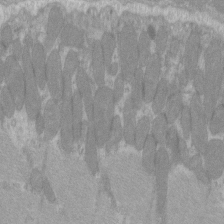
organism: C57BL Mouse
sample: Tibialis anterior muscle cell